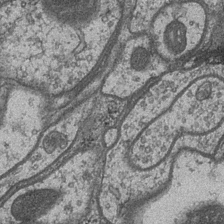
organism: Drosophila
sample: Optic medulla